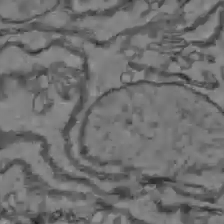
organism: C57BL Mouse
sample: Liver